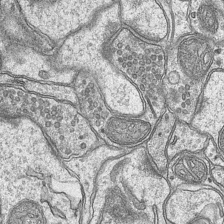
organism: Mouse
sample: CA1 Hippocampus